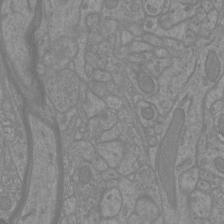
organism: Mouse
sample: Cortical neurons